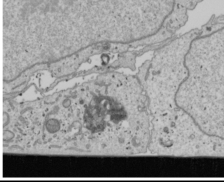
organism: Human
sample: Mitochondria in U2OS cells